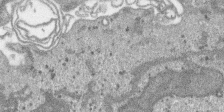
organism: Human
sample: Lung epithelial cells infected with SARS-CoV-2